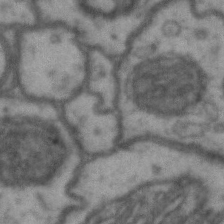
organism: Drosophila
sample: Brain